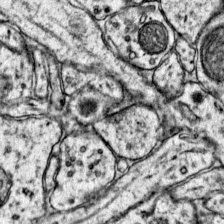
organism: Mouse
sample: Primary visual cortex